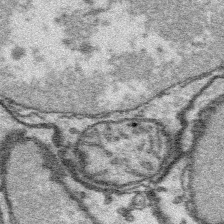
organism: Platynereis dumerilii